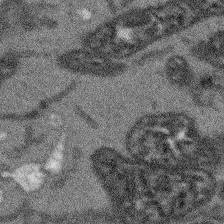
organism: Arabidopsis thaliana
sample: Root tip